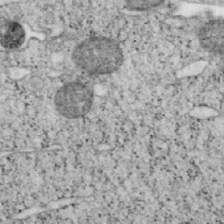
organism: Mouse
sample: OT-I killer T cells with ID8 ovarian cancer cells